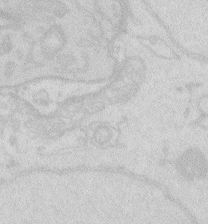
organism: Zebrafish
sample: Macrophage